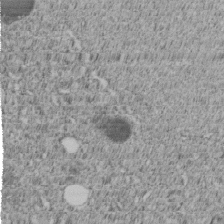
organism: C. elegans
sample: C. elegans embryo early stage